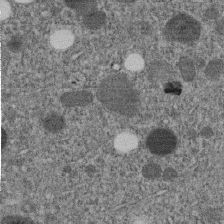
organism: C. elegans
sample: C. elegans embryo early stage